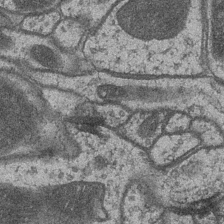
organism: Drosophila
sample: Optic medulla